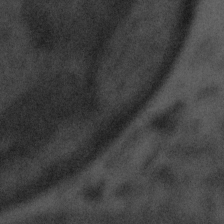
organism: Tuwongella immobilis